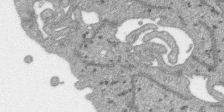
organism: Human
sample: Lung epithelial cells infected with SARS-CoV-2